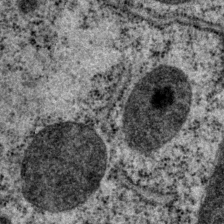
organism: P. pacificus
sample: Pharynx